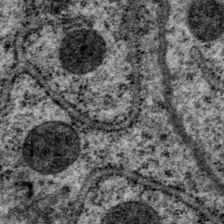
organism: P. pacificus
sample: Pharynx